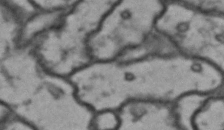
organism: Drosophila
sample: Brain